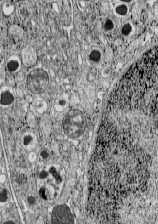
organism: C57BL Mouse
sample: Pancreatic islet